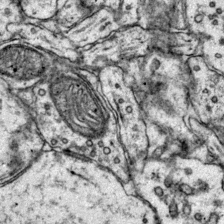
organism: Mouse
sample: Primary visual cortex